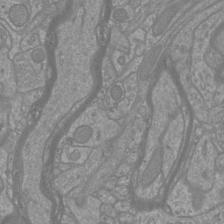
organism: Mouse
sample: Cortical neurons